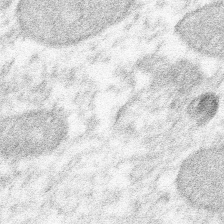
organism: Xenopus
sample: Cilia; centrioles in frog embryo cells